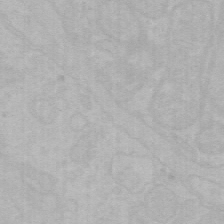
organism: Mouse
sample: Choroid plexus